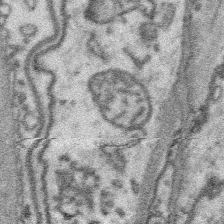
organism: Platynereis dumerilii